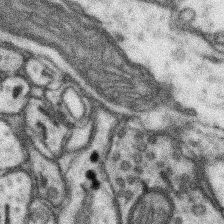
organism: Mouse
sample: Somatosensory cortex neuropil